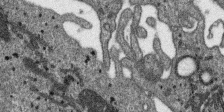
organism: Human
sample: Lung epithelial cells infected with SARS-CoV-2